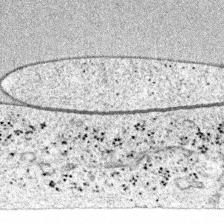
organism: Human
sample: HeLa cells